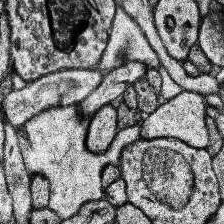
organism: Human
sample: Temporal Lobe